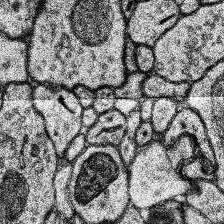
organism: Human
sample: Temporal Lobe